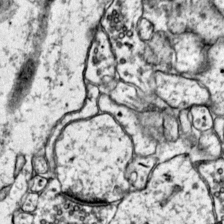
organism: Mouse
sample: Primary visual cortex